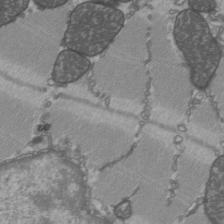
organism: C57BL Mouse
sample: Heart